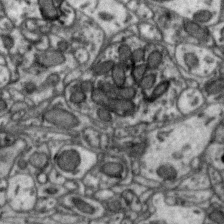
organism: Zebra finch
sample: Brain